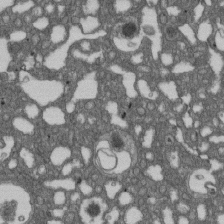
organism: Drosophila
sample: Nephrocyte